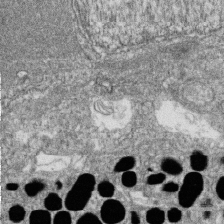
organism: Zebrafish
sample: Cilia; retinal pigment epithelium